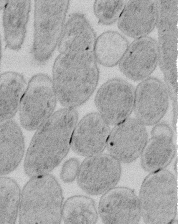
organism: E. coli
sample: Bacterial nucleoid